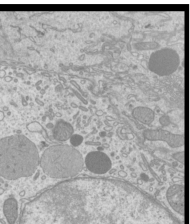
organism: Mouse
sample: Cilia; mouse epididymis